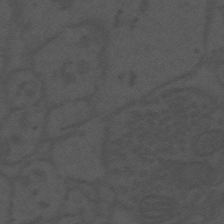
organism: Mouse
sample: Suprachiasmatic nucleus